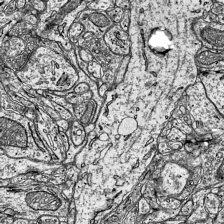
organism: Mouse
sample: Visual Cortex